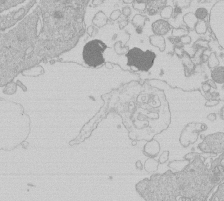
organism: Human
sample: Macrophage cells